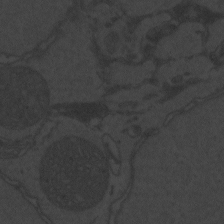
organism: Zebrafish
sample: Macrophage infected with Toxoplasma gondii